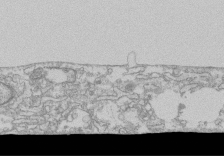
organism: Human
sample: CRL-1474